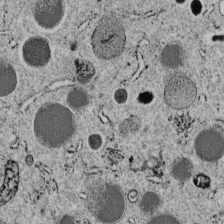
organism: C. elegans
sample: C. elegans embryo early stage